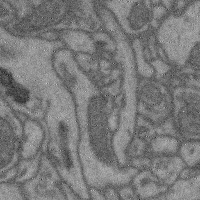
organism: Mouse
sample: Cerebral cortex